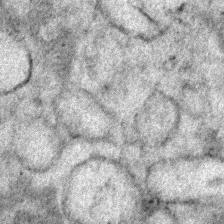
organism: Human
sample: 1205lu cells